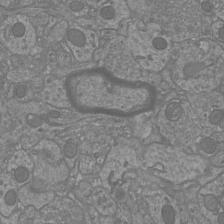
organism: Mouse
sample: Cortical neurons